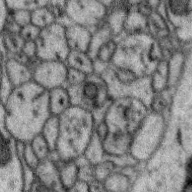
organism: Zebra finch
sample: Brain